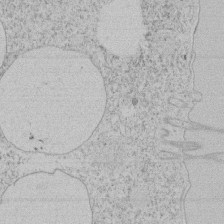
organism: Tetrahymena